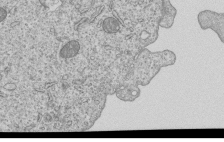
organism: Human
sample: MDA-MB-231 cells